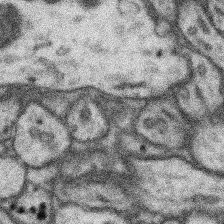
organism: Mouse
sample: Somatosensory cortex neuropil